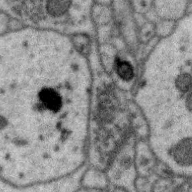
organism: Zebra finch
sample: Brain